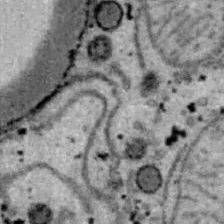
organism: Mouse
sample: Liver from an obese (ob/ob) mouse